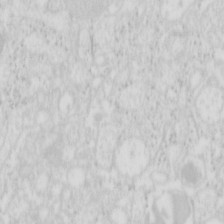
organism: Mouse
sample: Pancreas